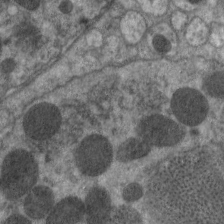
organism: C. elegans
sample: Pharynx